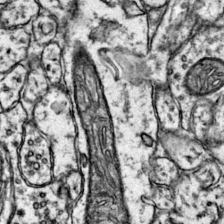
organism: Mouse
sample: Primary visual cortex